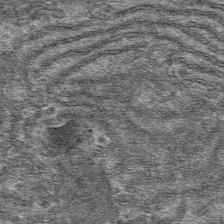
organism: Mouse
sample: Mouse hepatocytes